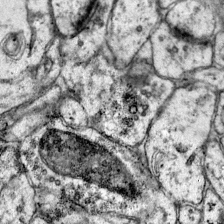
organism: Mouse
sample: Primary visual cortex